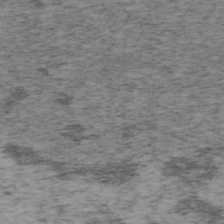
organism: Mouse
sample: OT-I killer T cells with ID8 ovarian cancer cells